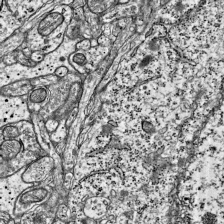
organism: Mouse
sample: Visual Cortex